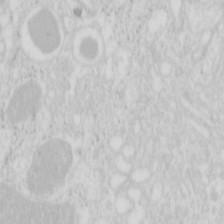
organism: Mouse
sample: Pancreas